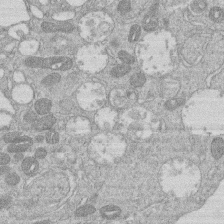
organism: Human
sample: Macrophage cells